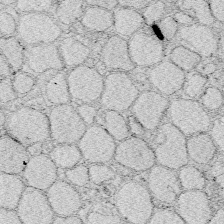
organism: Zebrafish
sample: Whole-Brain